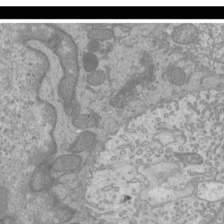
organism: Mouse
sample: Cilia; mouse epididymis